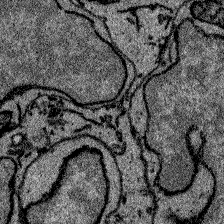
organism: Zebrafish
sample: Larval olfactory bulb